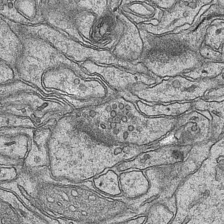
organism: Mouse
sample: CA1 Hippocampus